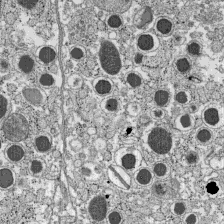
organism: C57BL Mouse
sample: Pancreatic islet